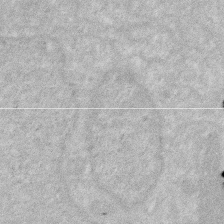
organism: Human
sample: HIV infected U937 cells